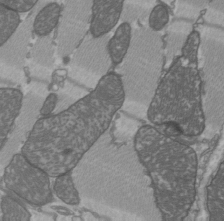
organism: C57BL Mouse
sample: Heart